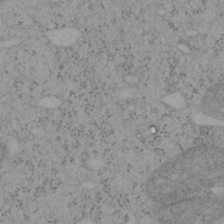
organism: Mouse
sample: OT-I killer T cells with ID8 ovarian cancer cells